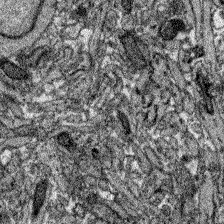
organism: Zebrafish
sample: Larval olfactory bulb